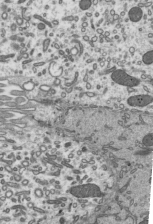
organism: Mouse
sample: Mouse epididymis efferent ductule cilia